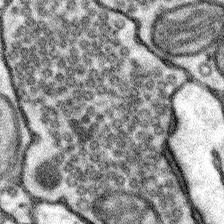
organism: Mouse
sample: Somatosensory cortex neuropil